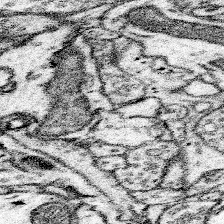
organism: Mouse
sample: Somatosensory cortex neuropil